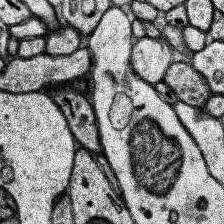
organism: Human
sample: Temporal Lobe